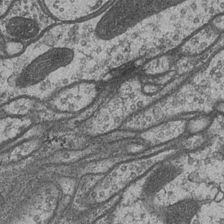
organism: Drosophila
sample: Optic medulla